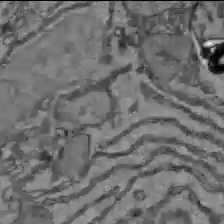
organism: C57BL Mouse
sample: Liver